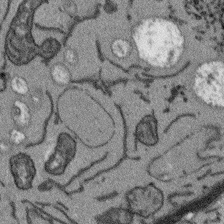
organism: Arabidopsis thaliana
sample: Root tip